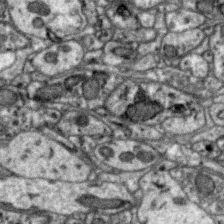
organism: Zebra finch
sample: Brain